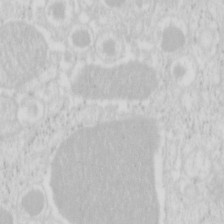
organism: Mouse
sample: Pancreas